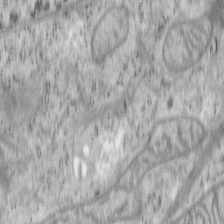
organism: Human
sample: HeLa cells